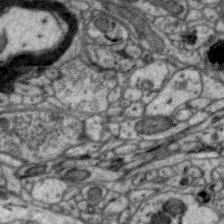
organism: Zebra finch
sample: Brain